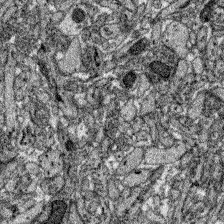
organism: Zebrafish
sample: Larval olfactory bulb